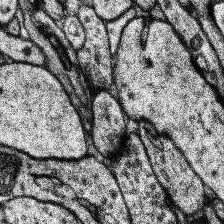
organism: Human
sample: Temporal Lobe